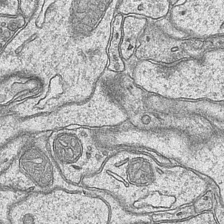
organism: Mouse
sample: CA1 Hippocampus